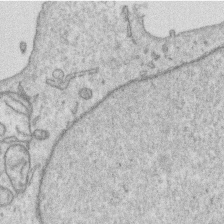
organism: Human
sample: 1205lu cells